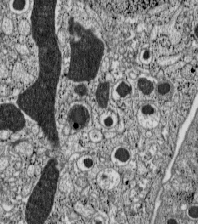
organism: C57BL Mouse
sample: Pancreatic islet